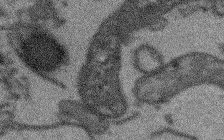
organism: Arabidopsis thaliana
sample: Root tip